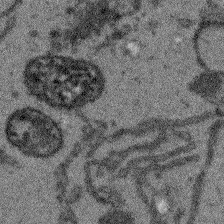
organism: Arabidopsis thaliana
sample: Root tip